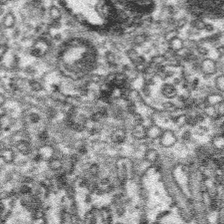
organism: Platynereis dumerilii